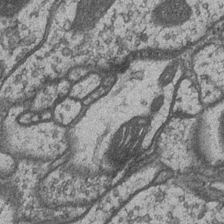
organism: Drosophila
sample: Optic medulla